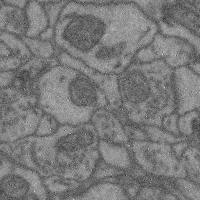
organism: Mouse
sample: Cerebral cortex